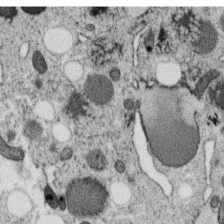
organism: C. elegans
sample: C. elegans oocyte; sperm cells